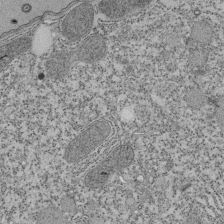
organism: Tetrahymena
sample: Cilia in tetrahymena